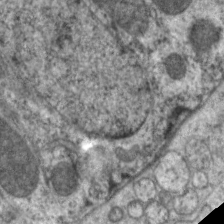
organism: C. elegans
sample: Pharynx